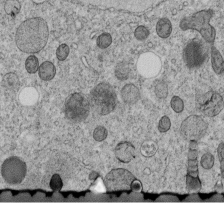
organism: C. elegans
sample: C. elegans embryo early stage